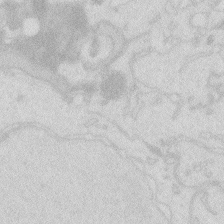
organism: Zebrafish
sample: Macrophage